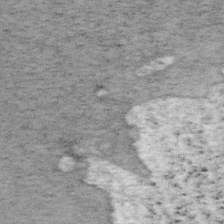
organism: Mouse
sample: OT-I killer T cells with ID8 ovarian cancer cells